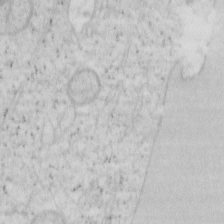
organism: Human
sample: HeLa cells